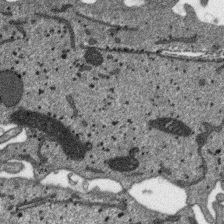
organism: Human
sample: Lung epithelial cells infected with SARS-CoV-2